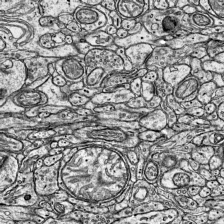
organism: Mouse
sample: Visual Cortex